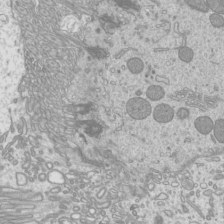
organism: Mouse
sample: Cilia; mouse epididymis